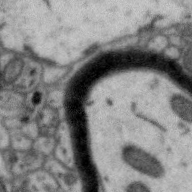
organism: Zebra finch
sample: Brain